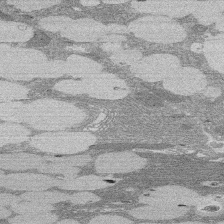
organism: Rat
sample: Salivary granule